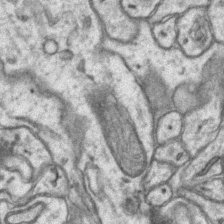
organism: Mouse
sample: CA1 Hippocampus